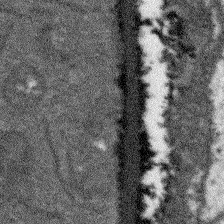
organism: Arabidopsis thaliana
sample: Root tip